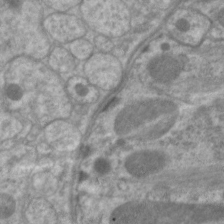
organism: C. elegans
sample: Pharynx